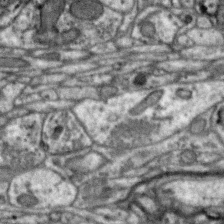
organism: Zebra finch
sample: Brain